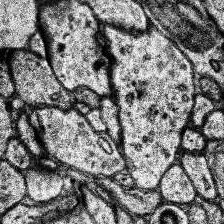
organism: Human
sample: Temporal Lobe